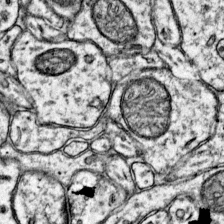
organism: Mouse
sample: Primary visual cortex